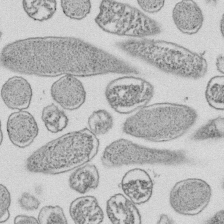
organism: E. coli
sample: Bacterial nucleoid